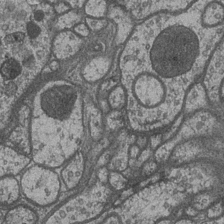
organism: Drosophila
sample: Optic medulla